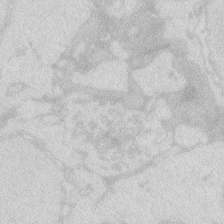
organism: Zebrafish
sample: Macrophage